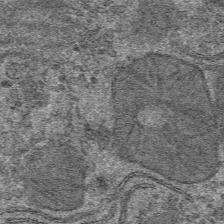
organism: Mouse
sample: Mouse hepatocytes